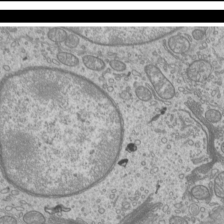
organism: Mouse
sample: Cilia; mouse epididymis